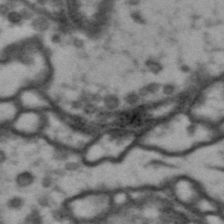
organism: Drosophila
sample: Brain